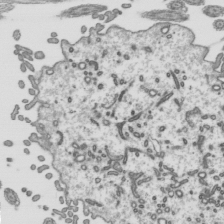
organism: Mouse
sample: Mouse epididymis efferent ductule cilia